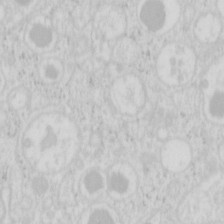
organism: Mouse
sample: Pancreas